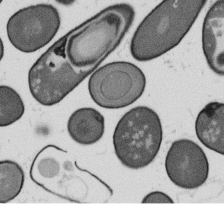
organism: B. subtilis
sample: Bacterial spore